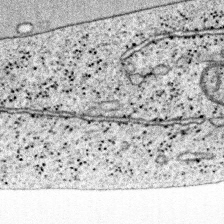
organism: Human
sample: HeLa cells